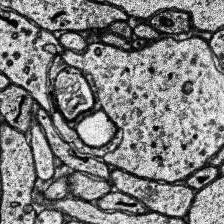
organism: Human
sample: Temporal Lobe